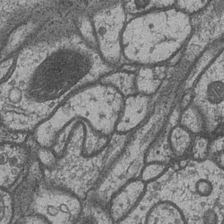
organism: Drosophila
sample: Optic medulla